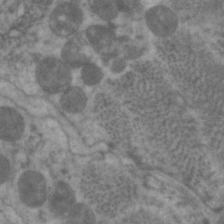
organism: C. elegans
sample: Pharynx